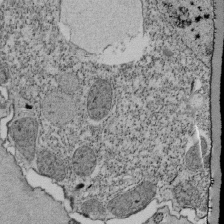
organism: Tetrahymena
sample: Cilia in tetrahymena